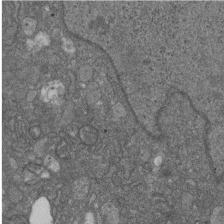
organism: Drosophila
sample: Nephrocyte